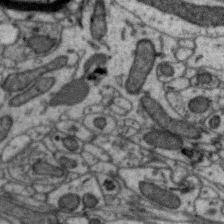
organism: Zebra finch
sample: Brain